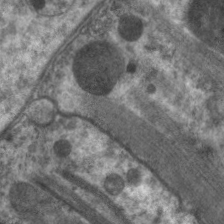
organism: C. elegans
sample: Pharynx